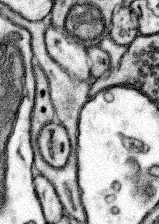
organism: Mouse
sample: Somatosensory cortex neuropil